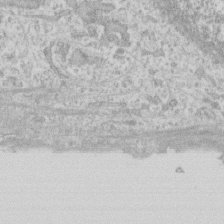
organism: Human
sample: Fibroblast cells